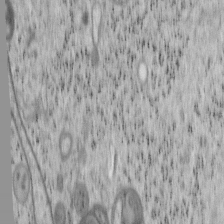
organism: Human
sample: HeLa cells